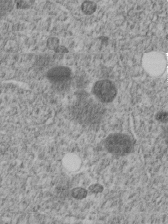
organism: C. elegans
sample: C. elegans embryo early stage